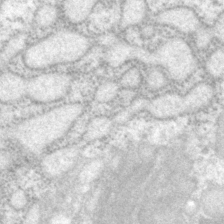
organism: P. pacificus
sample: Pharynx